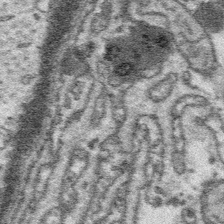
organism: Platynereis dumerilii